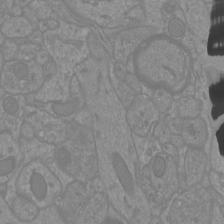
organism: Mouse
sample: Cortical neurons